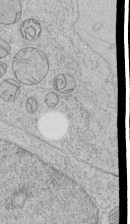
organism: Human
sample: Mitochondria in HCT116 cells